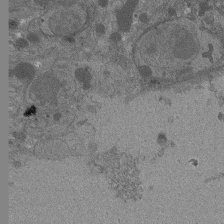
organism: Drosophila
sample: Antenna